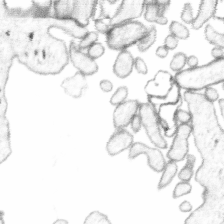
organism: Human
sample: HeLa cells